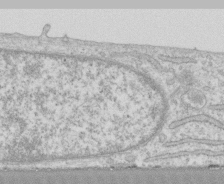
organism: Human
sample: CRL-1474